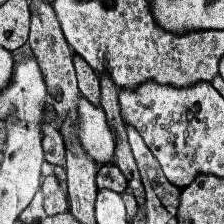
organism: Human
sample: Temporal Lobe